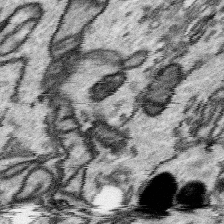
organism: Human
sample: HeLa cells